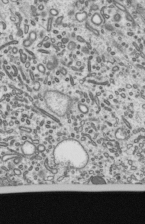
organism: Mouse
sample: Mouse epididymis efferent ductule cilia